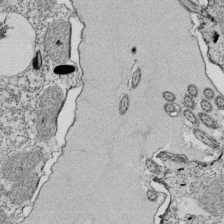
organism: Tetrahymena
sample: Cilia in tetrahymena